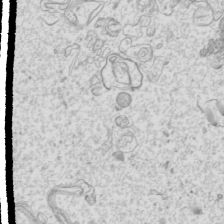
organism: Mouse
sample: Cilia; mouse epididymis